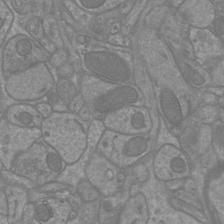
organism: Mouse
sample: Cortical neurons